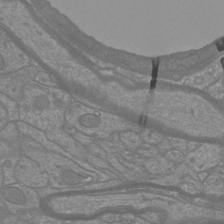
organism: Mouse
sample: Cortical neurons